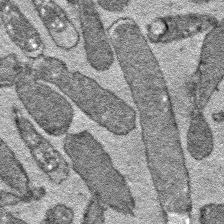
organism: E. coli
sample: E. Coli Bacteria